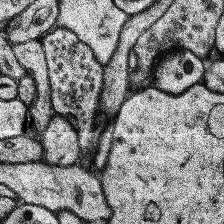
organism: Human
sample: Temporal Lobe